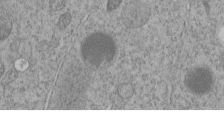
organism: C. elegans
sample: C. elegans embryo early stage